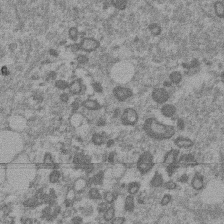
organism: Mouse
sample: Dividing mouse embryo 1 cell stage